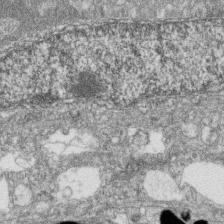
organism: Zebrafish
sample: Cilia; retinal pigment epithelium